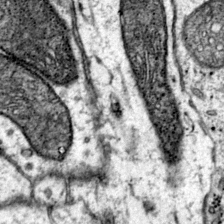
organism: Mouse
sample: Primary visual cortex